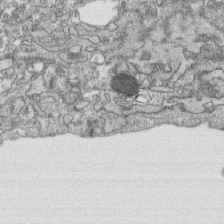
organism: Human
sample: CRL-1474